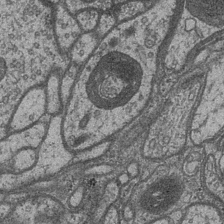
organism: Drosophila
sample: Optic medulla